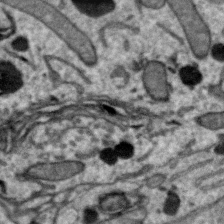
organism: Zebra finch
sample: Brain